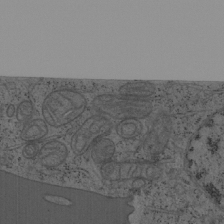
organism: Human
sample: HeLa cells